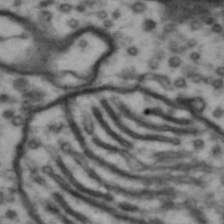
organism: Drosophila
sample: Brain